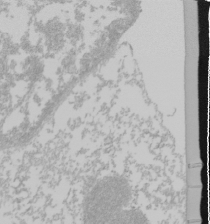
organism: Mouse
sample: Cancer cell death in ED-1 cells